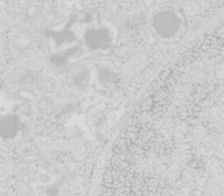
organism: Mouse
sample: Pancreas